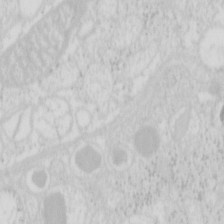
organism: Mouse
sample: Pancreas